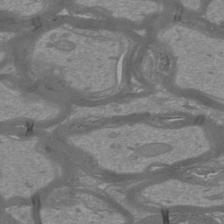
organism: Mouse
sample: Cortical neurons